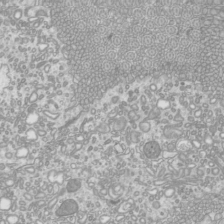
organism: Mouse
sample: Cilia; mouse epididymis